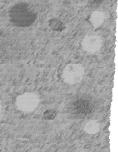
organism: C. elegans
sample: C. elegans embryo early stage